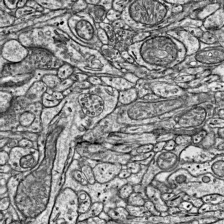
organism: Mouse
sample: Visual Cortex